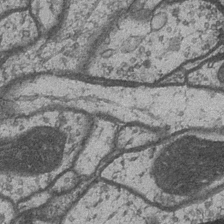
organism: Drosophila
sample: Optic medulla